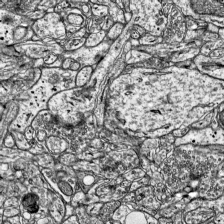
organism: Mouse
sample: Visual Cortex